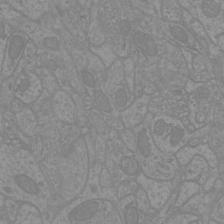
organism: Mouse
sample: Cortical neurons